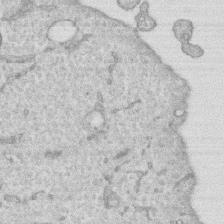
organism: Human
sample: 1205lu cells